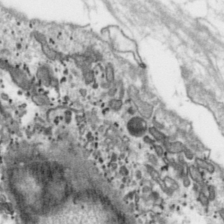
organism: Toxoplasma gondii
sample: Parasites in a vacuole inside a host cell